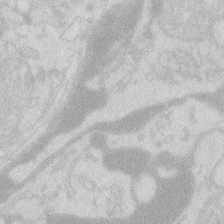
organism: Zebrafish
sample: Macrophage